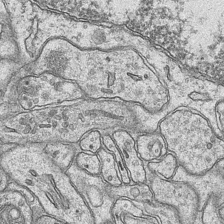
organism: Mouse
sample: CA1 Hippocampus